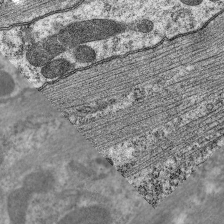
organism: C. elegans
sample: Pharynx